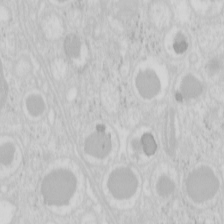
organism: Mouse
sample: Pancreas